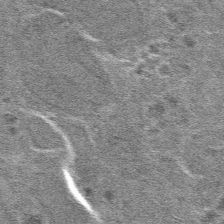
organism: Mouse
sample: Mouse hepatocytes